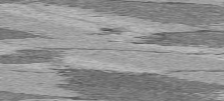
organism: C57BL Mouse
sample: Heart